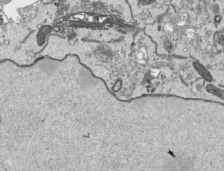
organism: Human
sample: Mitochondria in HCT116 cells